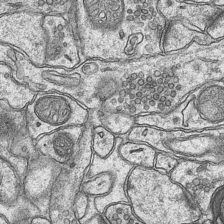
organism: Mouse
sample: CA1 Hippocampus